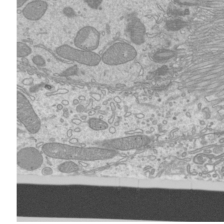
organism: Mouse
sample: Cilia; mouse epididymis